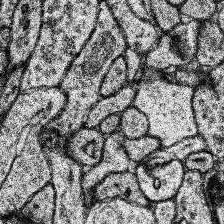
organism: Human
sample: Temporal Lobe